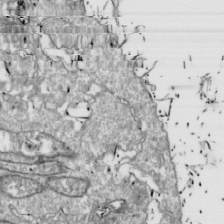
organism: Drosophila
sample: Cell division; meiosis; drosophila spermatocytes